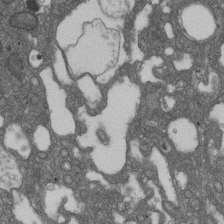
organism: Drosophila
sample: Nephrocyte